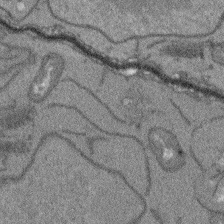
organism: Arabidopsis thaliana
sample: Root tip